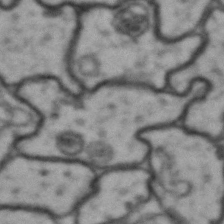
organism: Drosophila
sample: Brain